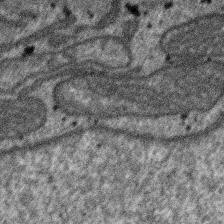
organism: Human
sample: Lung epithelial cells infected with SARS-CoV-2